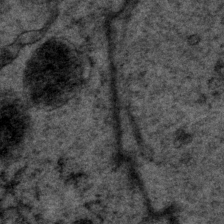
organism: P. pacificus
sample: Pharynx